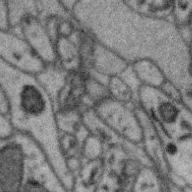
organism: Zebra finch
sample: Brain